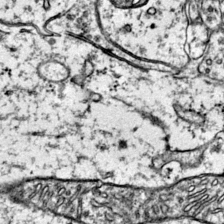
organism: Mouse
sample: Primary visual cortex